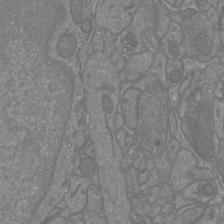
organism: Mouse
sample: Cortical neurons